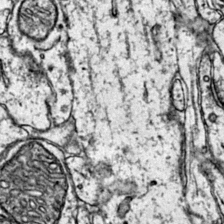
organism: Mouse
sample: Primary visual cortex